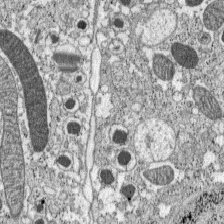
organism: C57BL Mouse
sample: Pancreatic islet